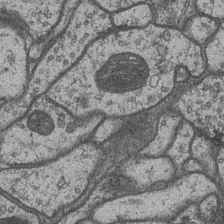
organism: Drosophila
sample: Optic medulla